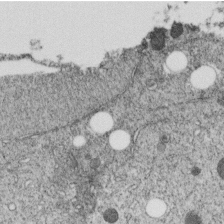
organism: C. elegans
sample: C. elegans embryo early stage